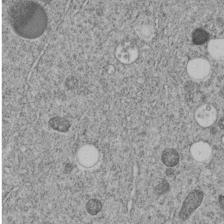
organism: C. elegans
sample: C. elegans embryo early stage